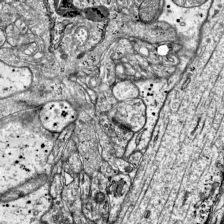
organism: Mouse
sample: Visual Cortex